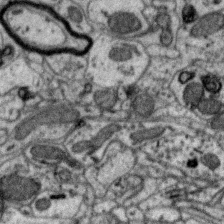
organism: Zebra finch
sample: Brain